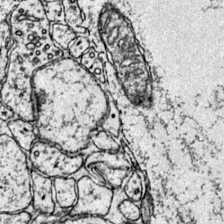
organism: Mouse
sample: Primary visual cortex